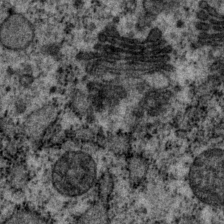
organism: P. pacificus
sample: Pharynx